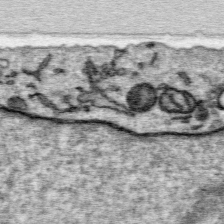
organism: Human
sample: HeLa cells